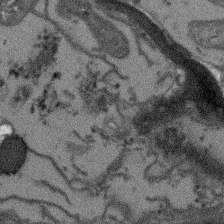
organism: Arabidopsis thaliana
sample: Root tip